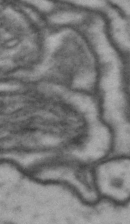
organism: Drosophila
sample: Brain